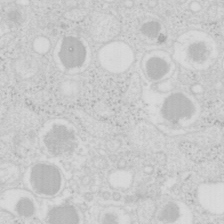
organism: Mouse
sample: Pancreas